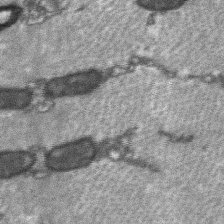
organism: C57BL Mouse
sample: Soleus